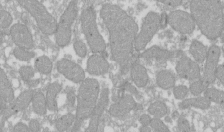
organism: Xenopus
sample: Cilia; centrioles in frog embryo cells